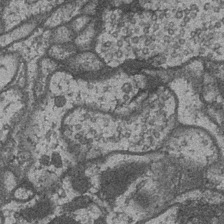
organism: Drosophila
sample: Optic medulla